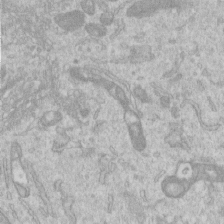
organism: Human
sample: Centriole in RPE cells